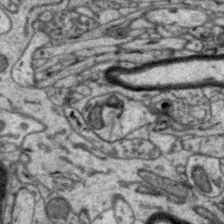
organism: Zebra finch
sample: Brain